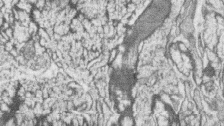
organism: Zebrafish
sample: synaptic ribbons in rod cells and cone cells